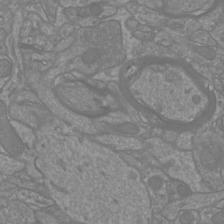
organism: Mouse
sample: Cortical neurons